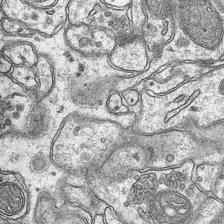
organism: Mouse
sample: CA1 Hippocampus